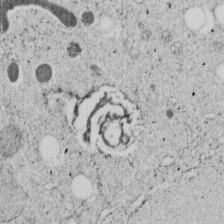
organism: C. elegans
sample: C. elegans embryo early stage